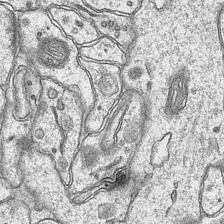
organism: Mouse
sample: CA1 Hippocampus